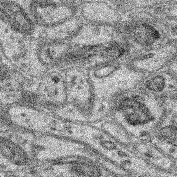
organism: Mouse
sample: Retina